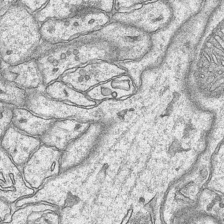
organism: Mouse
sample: CA1 Hippocampus